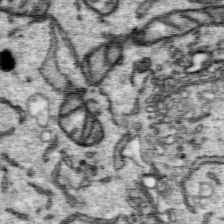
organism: Human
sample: HeLa cells